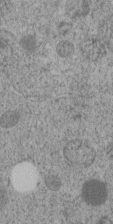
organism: C. elegans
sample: C. elegans embryo early stage